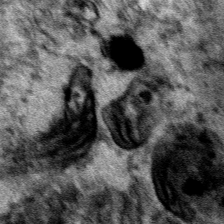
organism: Human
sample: Mitochondria in HCT116 cells